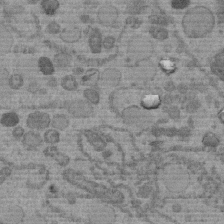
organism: C. elegans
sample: C. elegans embryo early stage